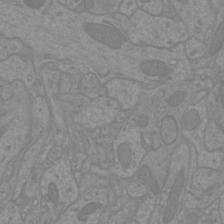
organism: Mouse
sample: Cortical neurons